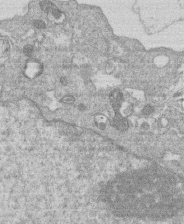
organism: Human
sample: Macrophage cells